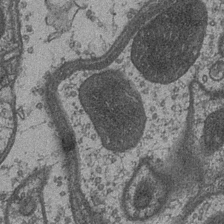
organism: Drosophila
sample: Optic medulla